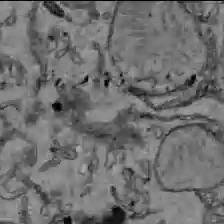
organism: C57BL Mouse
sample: Liver